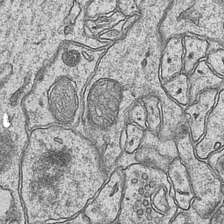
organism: Mouse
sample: CA1 Hippocampus